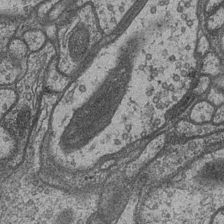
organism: Drosophila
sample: Optic medulla